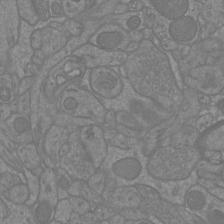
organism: Mouse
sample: Cortical neurons